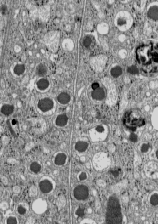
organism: C57BL Mouse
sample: Pancreatic islet